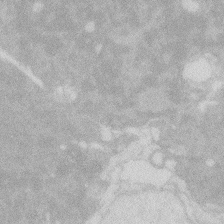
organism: Zebrafish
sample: Macrophage